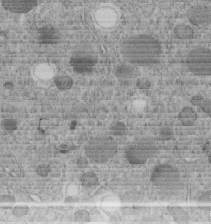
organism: C. elegans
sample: C. elegans embryo early stage